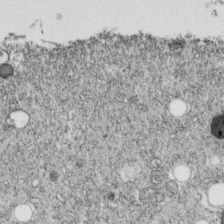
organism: C. elegans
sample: C. elegans embryo early stage